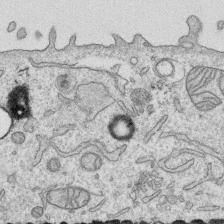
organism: Human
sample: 1205lu cells